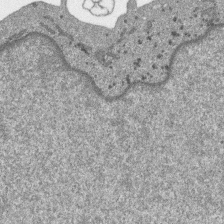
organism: Human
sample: Lung epithelial cells infected with SARS-CoV-2